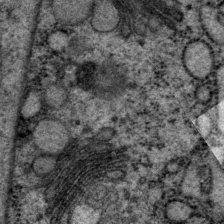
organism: P. pacificus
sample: Pharynx